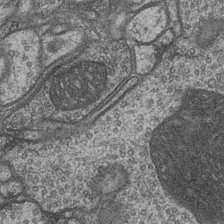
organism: Drosophila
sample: Optic medulla